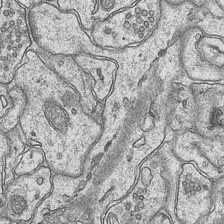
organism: Mouse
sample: CA1 Hippocampus